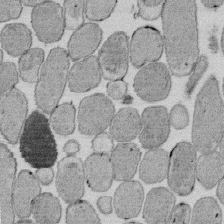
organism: E. coli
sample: Bacterial nucleoid